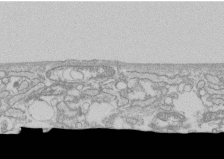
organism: Human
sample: CRL-1474